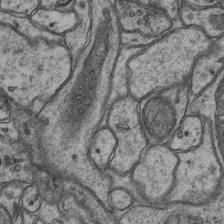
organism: Mouse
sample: CA1 Hippocampus